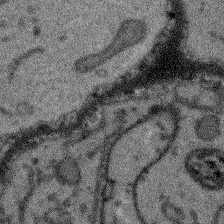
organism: Arabidopsis thaliana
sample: Root tip